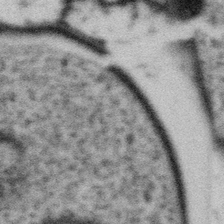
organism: Gemmata obscuriglobus